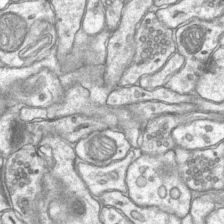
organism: Mouse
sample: CA1 Hippocampus